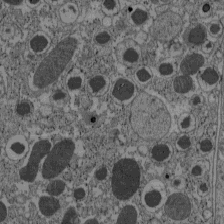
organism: C57BL Mouse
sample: Pancreatic islet